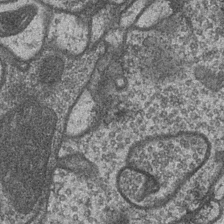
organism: Drosophila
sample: Optic medulla